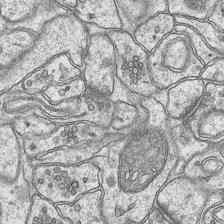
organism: Mouse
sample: CA1 Hippocampus